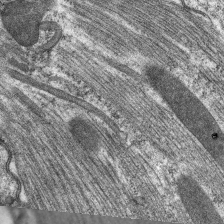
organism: C. elegans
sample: Pharynx